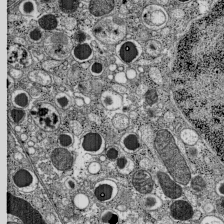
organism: C57BL Mouse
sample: Pancreatic islet